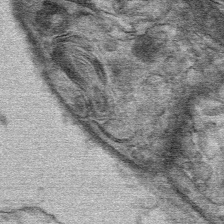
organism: Mouse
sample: Mouse Salivary gland